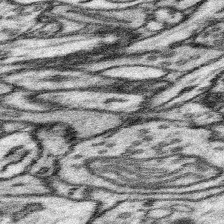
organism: Mouse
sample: Somatosensory cortex neuropil